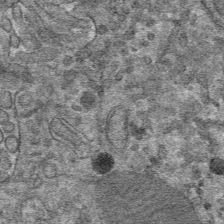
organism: Mouse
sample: Mouse hepatocytes